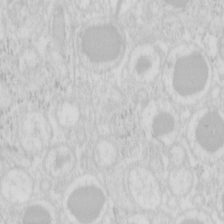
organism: Mouse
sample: Pancreas